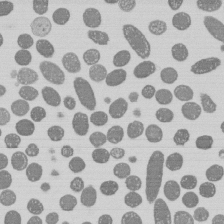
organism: E. coli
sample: Bacterial nucleoid